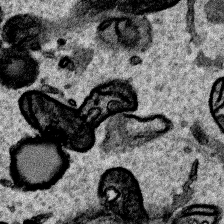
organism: Human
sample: Mitochondria in HCT116 cells